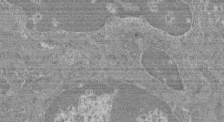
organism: Mouse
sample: Glomerulus